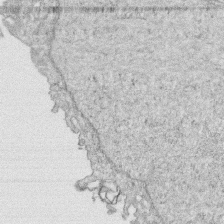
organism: Human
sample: HeLa cell HIV synapse